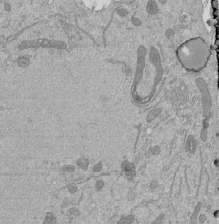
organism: Mouse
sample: ED-1 cell nuclei; centrioles